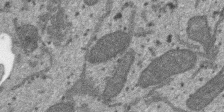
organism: Human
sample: Lung epithelial cells infected with SARS-CoV-2